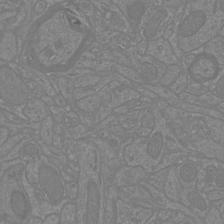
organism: Mouse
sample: Cortical neurons